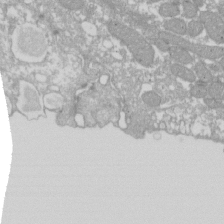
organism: Xenopus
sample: Cilia; centrioles in frog embryo cells